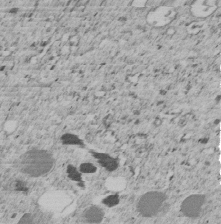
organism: C. elegans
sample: C. elegans embryo early stage